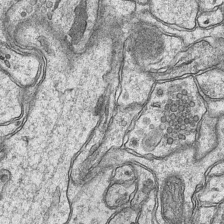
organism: Mouse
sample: CA1 Hippocampus